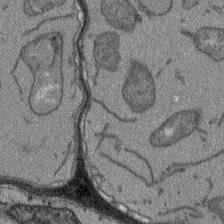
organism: Arabidopsis thaliana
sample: Root tip